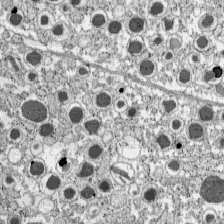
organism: C57BL Mouse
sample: Pancreatic islet